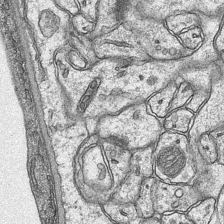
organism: Mouse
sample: CA1 Hippocampus